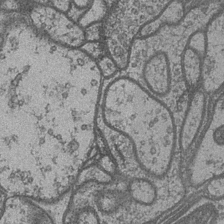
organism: Drosophila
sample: Optic medulla